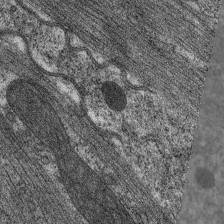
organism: C. elegans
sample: Pharynx